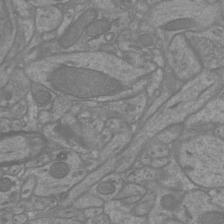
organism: Mouse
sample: Cortical neurons